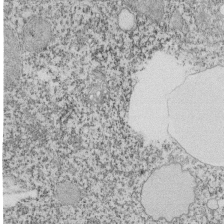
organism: Tetrahymena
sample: Cilia in tetrahymena